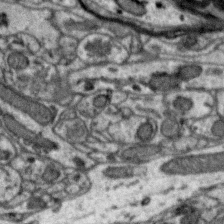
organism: Zebra finch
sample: Brain